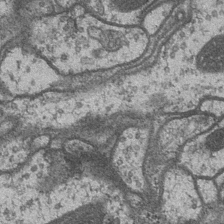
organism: Drosophila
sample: Optic medulla